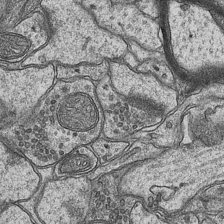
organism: Mouse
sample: CA1 Hippocampus